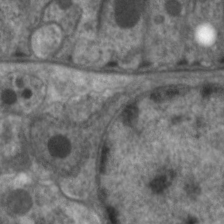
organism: C. elegans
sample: Pharynx